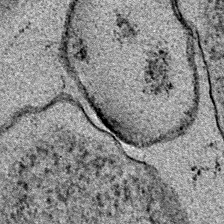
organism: E. coli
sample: E. Coli Bacteria